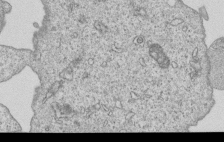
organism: Human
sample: MDA-MB-231 cells